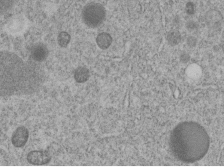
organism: C. elegans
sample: C. elegans embryo early stage